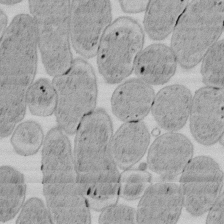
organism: E. coli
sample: Bacterial nucleoid